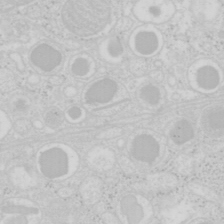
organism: Mouse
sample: Pancreas